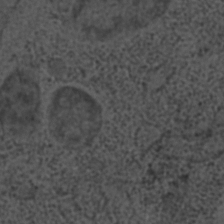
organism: C. elegans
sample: C. elegans embryo